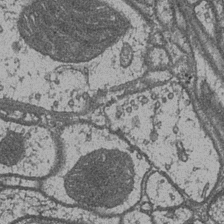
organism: Drosophila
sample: Optic medulla